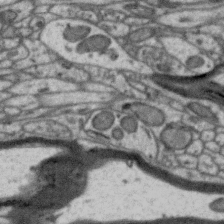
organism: Zebra finch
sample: Brain